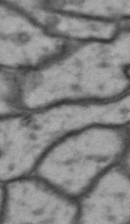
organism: Drosophila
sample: Brain